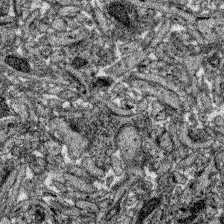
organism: Zebrafish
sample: Larval olfactory bulb